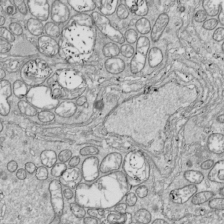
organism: Drosophila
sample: Cell division; meiosis; drosophila spermatocytes